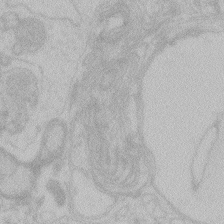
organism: Zebrafish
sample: Macrophage infected with Toxoplasma gondii